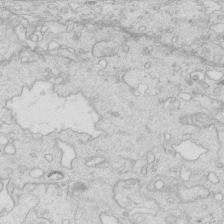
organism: Mouse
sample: Multiciliated cells